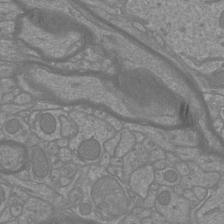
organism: Mouse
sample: Cortical neurons